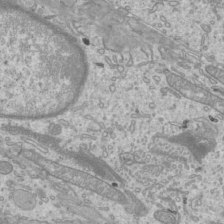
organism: Mouse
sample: Cilia; mouse epididymis